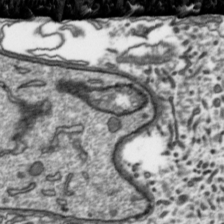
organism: Toxoplasma gondii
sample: Parasites in a vacuole inside a host cell